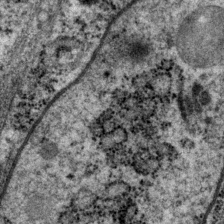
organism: P. pacificus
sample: Pharynx